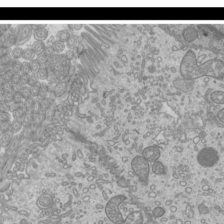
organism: Mouse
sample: Cilia; mouse epididymis